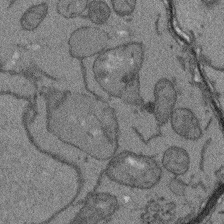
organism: Arabidopsis thaliana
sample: Root tip